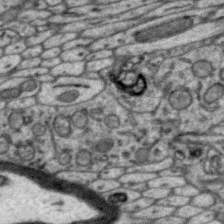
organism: Zebra finch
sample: Brain